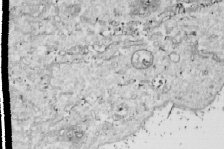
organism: Drosophila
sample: Cell division; meiosis; drosophila spermatocytes